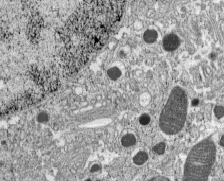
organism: C57BL Mouse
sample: Pancreatic islet